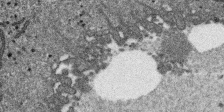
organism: Human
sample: Lung epithelial cells infected with SARS-CoV-2